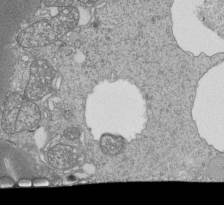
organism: Tetrahymena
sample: Cilia in tetrahymena